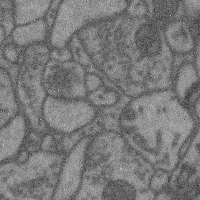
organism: Mouse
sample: Cerebral cortex